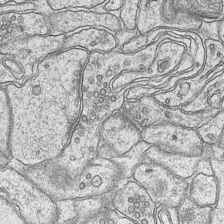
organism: Mouse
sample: CA1 Hippocampus